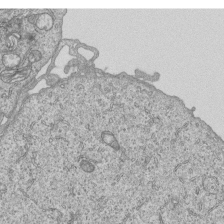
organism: Human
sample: MDA-MB-231 cells